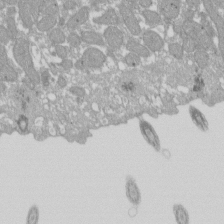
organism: Xenopus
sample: Cilia; centrioles in frog embryo cells